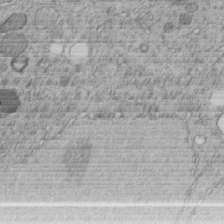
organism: C. elegans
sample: C. elegans embryo early stage